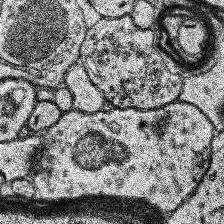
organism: Human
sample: Temporal Lobe